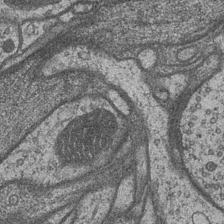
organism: Drosophila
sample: Optic medulla